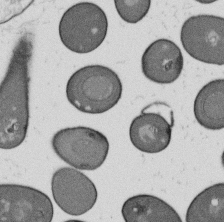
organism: B. subtilis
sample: Bacterial spore